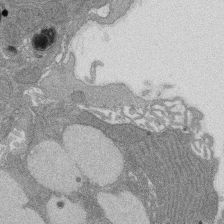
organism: Rat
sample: Salivary granule